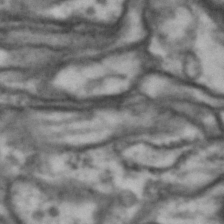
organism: Drosophila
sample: Brain